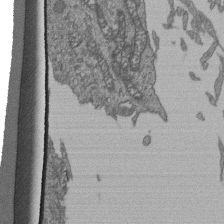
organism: Human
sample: Retinal organoid Rod and Cone cells